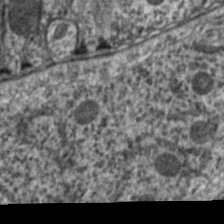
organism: C. elegans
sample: Pharynx